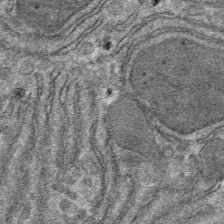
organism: Mouse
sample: Mouse hepatocytes